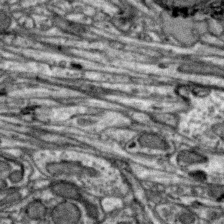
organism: Zebra finch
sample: Brain